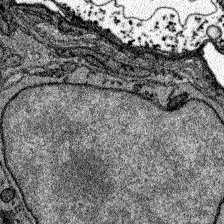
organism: Zebrafish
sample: Larval olfactory bulb